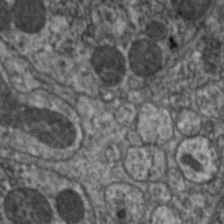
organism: C. elegans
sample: Pharynx